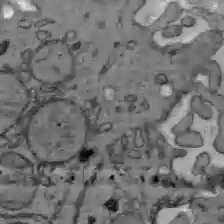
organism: C57BL Mouse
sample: Liver